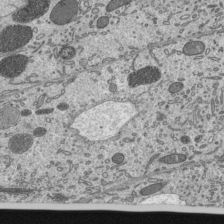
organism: Mouse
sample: Mouse epididymis efferent ductule cilia